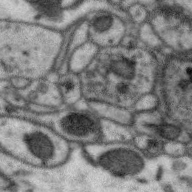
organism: Zebra finch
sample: Brain